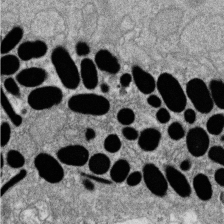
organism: Zebrafish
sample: Cilia; retinal pigment epithelium